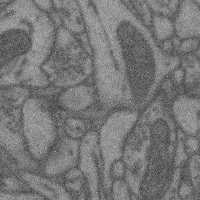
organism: Mouse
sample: Cerebral cortex